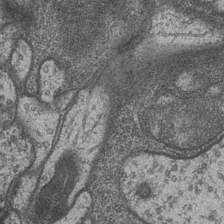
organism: Drosophila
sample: Optic medulla